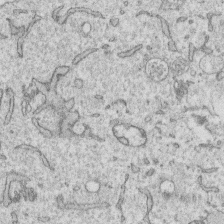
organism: Human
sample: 1205lu cells